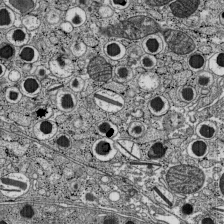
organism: C57BL Mouse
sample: Pancreatic islet